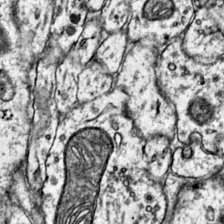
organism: Mouse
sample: Primary visual cortex